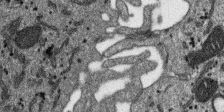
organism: Human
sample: Lung epithelial cells infected with SARS-CoV-2